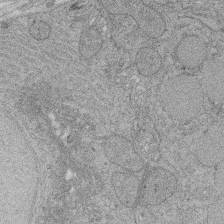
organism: Rat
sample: Salivary granule